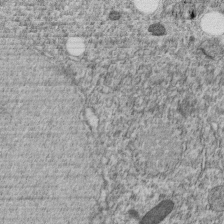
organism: C. elegans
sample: C. elegans embryo early stage